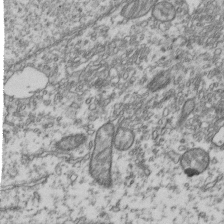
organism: Human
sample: Activated Jurkat CD4+ T cells